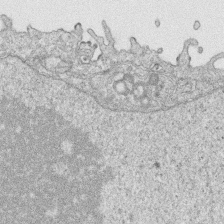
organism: Human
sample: HeLa cell HIV synapse